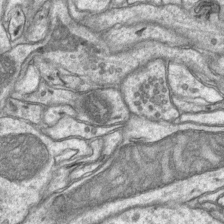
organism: Mouse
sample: CA1 Hippocampus